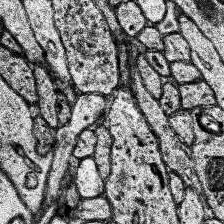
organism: Human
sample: Temporal Lobe